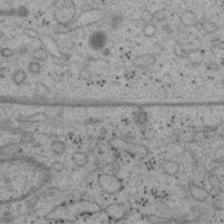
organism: Human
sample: HeLa cells